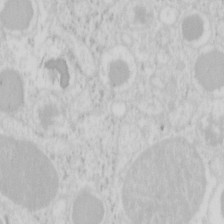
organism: Mouse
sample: Pancreas